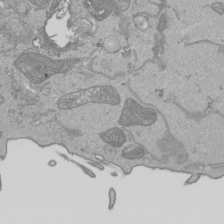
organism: Human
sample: Mitochondria in HCT116 cells